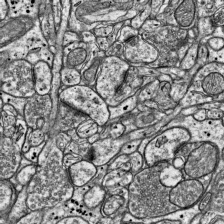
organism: Mouse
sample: Visual Cortex